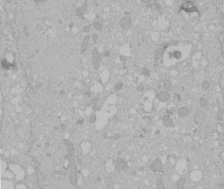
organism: Human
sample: Melanocyte Keratinocyte synapse skin construct